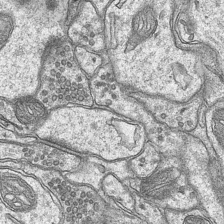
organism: Mouse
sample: CA1 Hippocampus